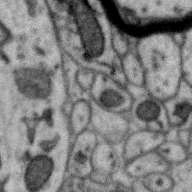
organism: Zebra finch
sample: Brain